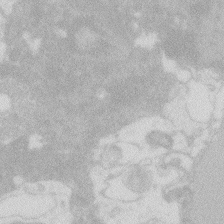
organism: Zebrafish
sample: Macrophage